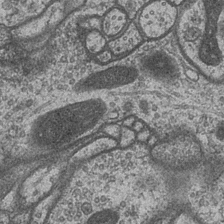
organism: Drosophila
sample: Optic medulla